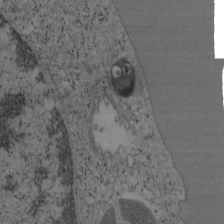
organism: Mouse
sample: OT-I killer T cells with ID8 ovarian cancer cells